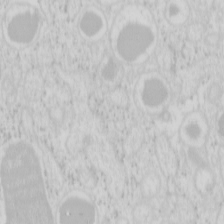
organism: Mouse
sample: Pancreas